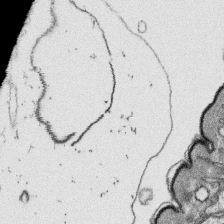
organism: Platynereis dumerilii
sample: Parapodia